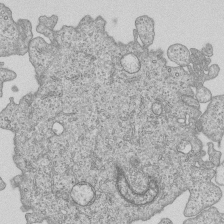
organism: Human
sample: MDA-MB-231 cells